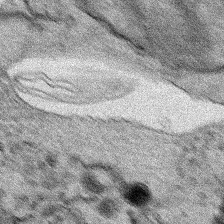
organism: Human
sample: Mitochondria in HCT116 cells